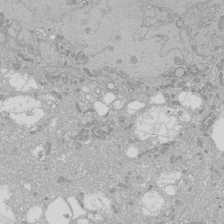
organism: Human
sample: Caco-2 cells